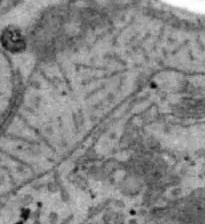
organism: Mouse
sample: Liver from an obese (ob/ob) mouse